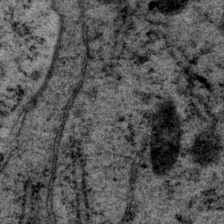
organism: P. pacificus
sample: Pharynx